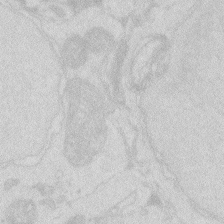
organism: Zebrafish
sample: Macrophage